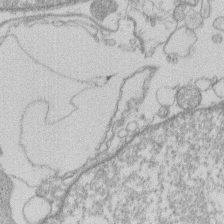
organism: Human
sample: Macrophage cells